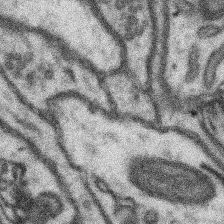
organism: Mouse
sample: Somatosensory cortex neuropil